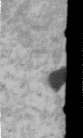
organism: Human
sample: U2-OS cells